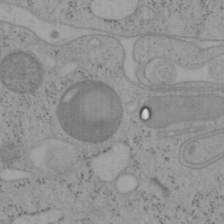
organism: Mouse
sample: OT-I killer T cells with ID8 ovarian cancer cells